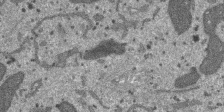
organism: Human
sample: Lung epithelial cells infected with SARS-CoV-2